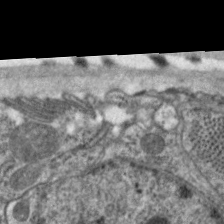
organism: C. elegans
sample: Pharynx